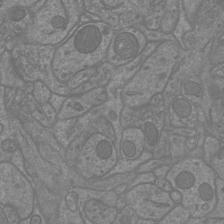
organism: Mouse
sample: Cortical neurons